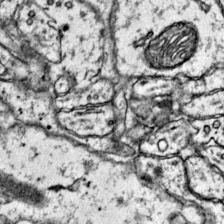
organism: Mouse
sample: Primary visual cortex